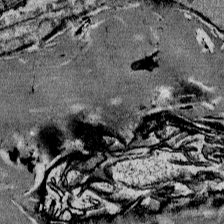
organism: Mouse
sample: Mouse Salivary gland